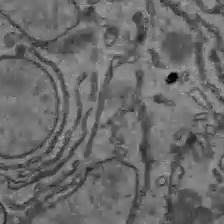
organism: C57BL Mouse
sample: Liver